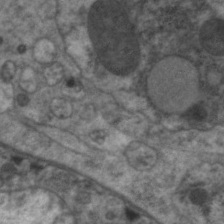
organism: C. elegans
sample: Pharynx